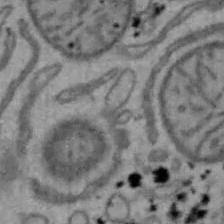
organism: Mouse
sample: Liver